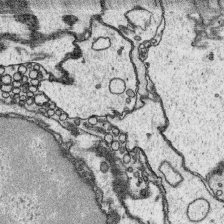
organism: Platynereis dumerilii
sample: Parapodia